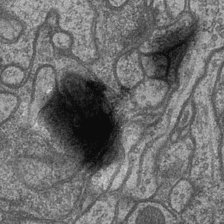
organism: Drosophila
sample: Optic medulla